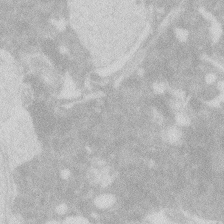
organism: Zebrafish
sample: Macrophage